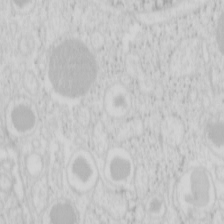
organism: Mouse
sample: Pancreas